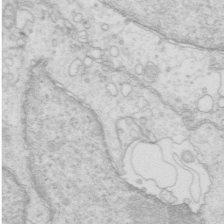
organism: Mouse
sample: Multiciliated cells